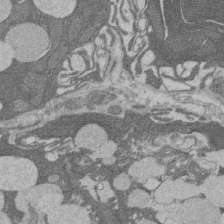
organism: Rat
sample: Salivary granule